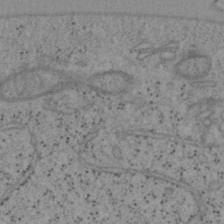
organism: Human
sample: HeLa cells